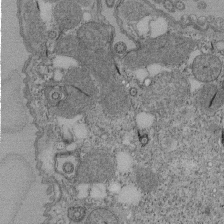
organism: Tetrahymena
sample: Cilia in tetrahymena